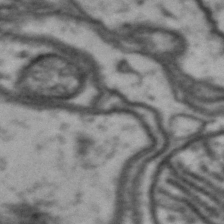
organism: Drosophila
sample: Brain